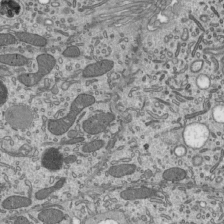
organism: Mouse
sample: Mouse epididymis efferent ductule cilia